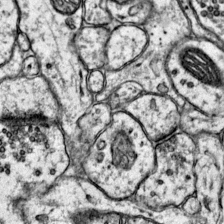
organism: Mouse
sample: Primary visual cortex